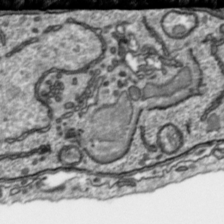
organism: Toxoplasma gondii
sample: Parasites in a vacuole inside a host cell